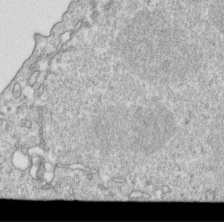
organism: Mouse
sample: Activated OT-1 CD8+ T cells